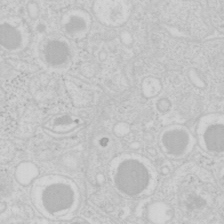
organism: Mouse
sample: Pancreas